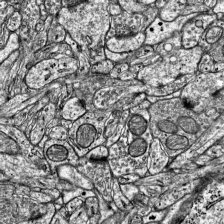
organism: Mouse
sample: Visual Cortex